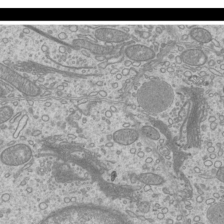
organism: Mouse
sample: Cilia; mouse epididymis